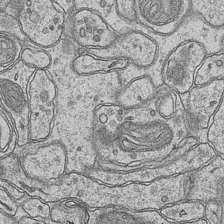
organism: Mouse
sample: CA1 Hippocampus